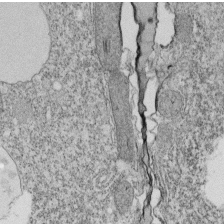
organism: Tetrahymena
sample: Cilia in tetrahymena